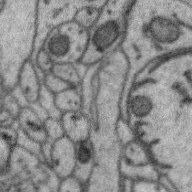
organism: Zebra finch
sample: Brain